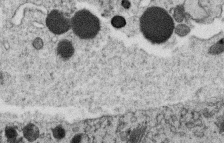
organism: C. elegans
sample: C. elegans oocyte; sperm cells